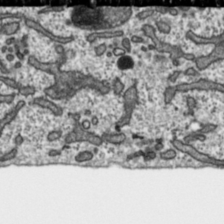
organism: Toxoplasma gondii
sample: Parasites in a vacuole inside a host cell